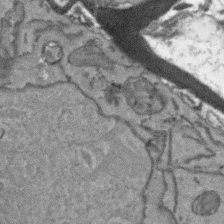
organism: Arabidopsis thaliana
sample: Root tip